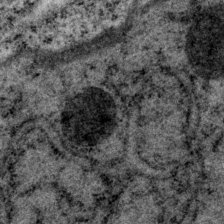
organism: P. pacificus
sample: Pharynx